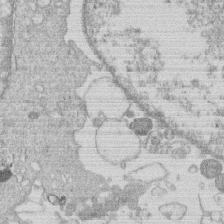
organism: Human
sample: Macrophage cells